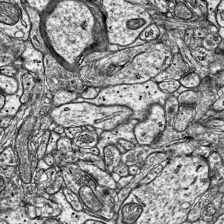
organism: Mouse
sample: Visual Cortex